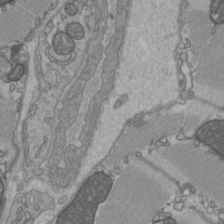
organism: C57BL Mouse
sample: Heart